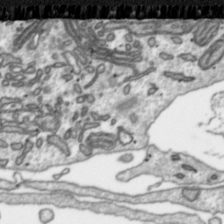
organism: Toxoplasma gondii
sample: Parasites in a vacuole inside a host cell